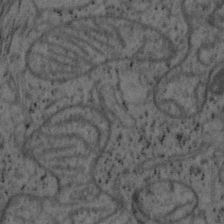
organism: Human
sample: HeLa cells